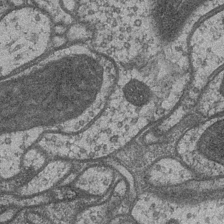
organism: Drosophila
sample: Optic medulla